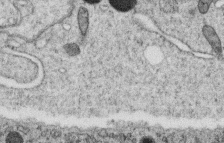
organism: C. elegans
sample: C. elegans oocyte; sperm cells